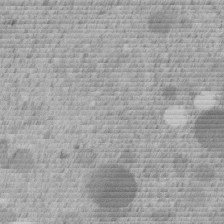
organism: C. elegans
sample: C. elegans embryo early stage